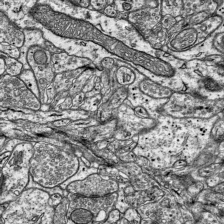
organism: Mouse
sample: Visual Cortex